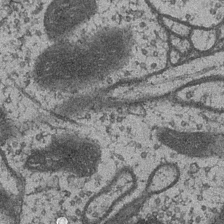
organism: Drosophila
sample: Optic medulla